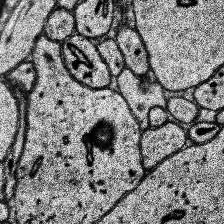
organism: Human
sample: Temporal Lobe